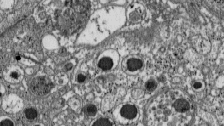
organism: C57BL Mouse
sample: Pancreatic islet